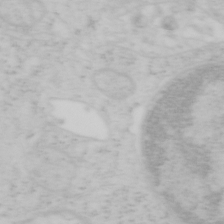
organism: Mouse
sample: OT-I killer T cells with ID8 ovarian cancer cells